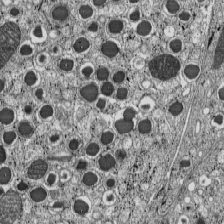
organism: C57BL Mouse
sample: Pancreatic islet